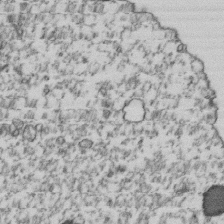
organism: Human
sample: Activated Jurkat CD4+ T cells